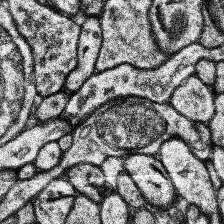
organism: Human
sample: Temporal Lobe